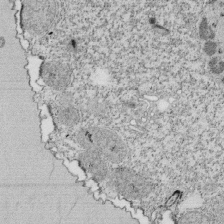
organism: Tetrahymena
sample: Cilia in tetrahymena